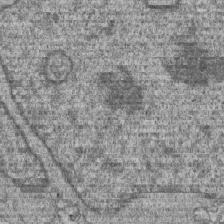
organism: Human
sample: MDA-MB-231 cells